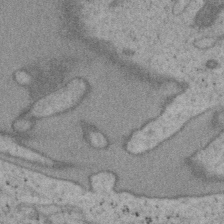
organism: Human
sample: HeLa cells